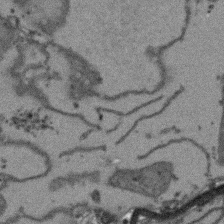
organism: Arabidopsis thaliana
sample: Root tip